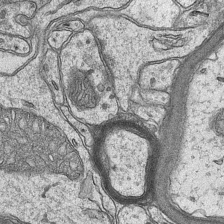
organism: Mouse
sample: CA1 Hippocampus